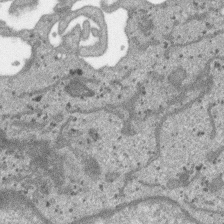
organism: Human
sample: Lung epithelial cells infected with SARS-CoV-2